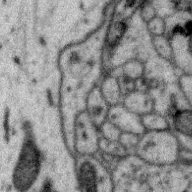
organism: Zebra finch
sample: Brain